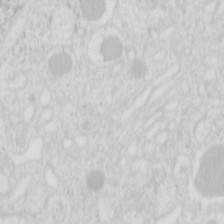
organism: Mouse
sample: Pancreas